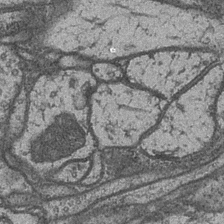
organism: Drosophila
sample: Optic medulla